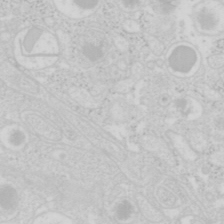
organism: Mouse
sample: Pancreas